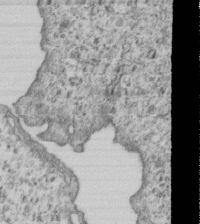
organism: Human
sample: MDA-MB-231 cells